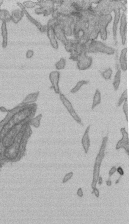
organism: Human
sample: Retinal organoid Rod and Cone cells